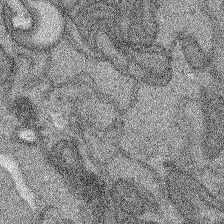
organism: Human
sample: HeLa cells